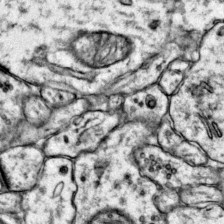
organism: Mouse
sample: Primary visual cortex